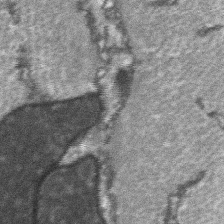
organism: C57BL Mouse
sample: Soleus